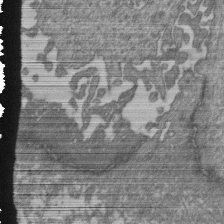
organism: Human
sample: Retinal organoid Rod and Cone cells